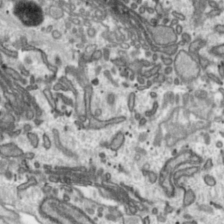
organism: Toxoplasma gondii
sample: Parasites in a vacuole inside a host cell